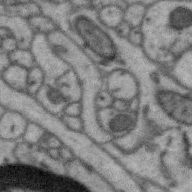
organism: Zebra finch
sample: Brain